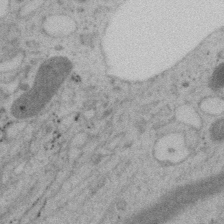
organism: Human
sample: HeLa cells